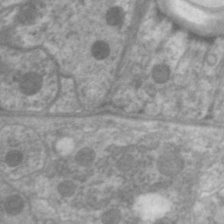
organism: C. elegans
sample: Pharynx